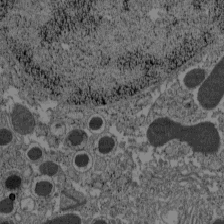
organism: C57BL Mouse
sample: Pancreatic islet